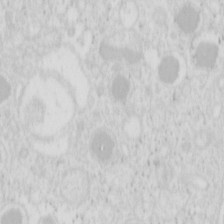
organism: Mouse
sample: Pancreas